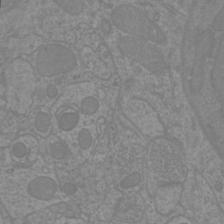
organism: Mouse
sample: Cortical neurons